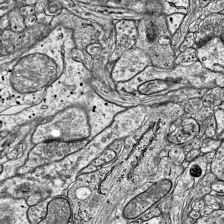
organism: Mouse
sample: Visual Cortex